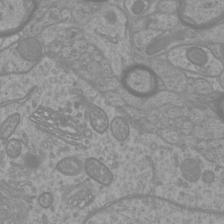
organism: Mouse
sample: Cortical neurons